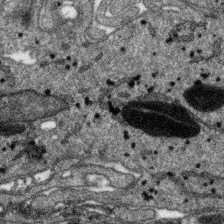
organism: Human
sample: Lung epithelial cells infected with SARS-CoV-2